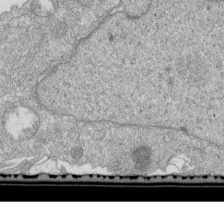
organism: Human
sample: HeLa cell HIV synapse